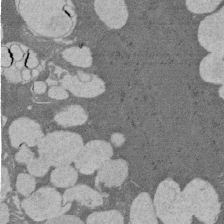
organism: Rat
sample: Salivary granule